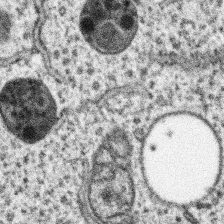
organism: Human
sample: HeLa cells